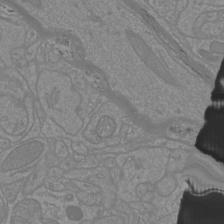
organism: Mouse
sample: Cortical neurons